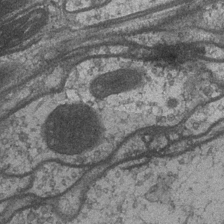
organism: Drosophila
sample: Optic medulla